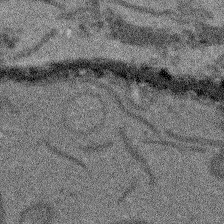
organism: Arabidopsis thaliana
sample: Root tip